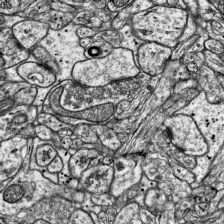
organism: Mouse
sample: Visual Cortex